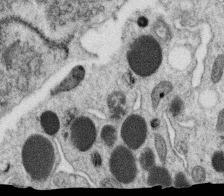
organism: C. elegans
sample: C. elegans oocyte; sperm cells